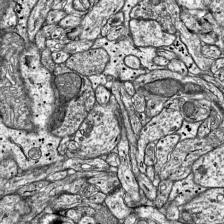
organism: Mouse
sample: Visual Cortex